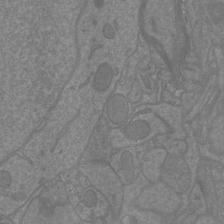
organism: Mouse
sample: Cortical neurons